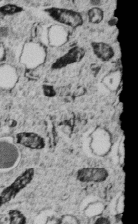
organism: C. elegans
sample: C. elegans embryo early stage